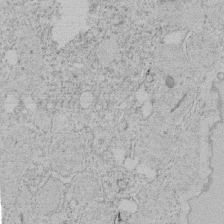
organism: Tetrahymena